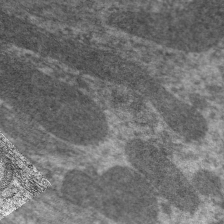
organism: C. elegans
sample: Pharynx